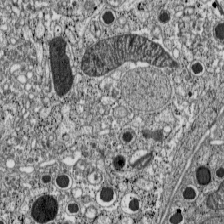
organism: C57BL Mouse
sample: Pancreatic islet